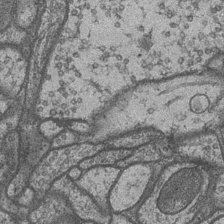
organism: Drosophila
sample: Optic medulla